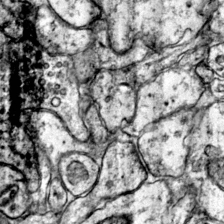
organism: Mouse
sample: Primary visual cortex